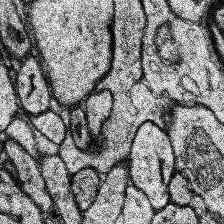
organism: Human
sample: Temporal Lobe